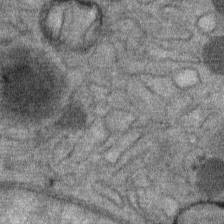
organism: Mouse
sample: Mouse Salivary gland